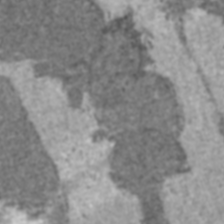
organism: C57BL Mouse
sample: Heart